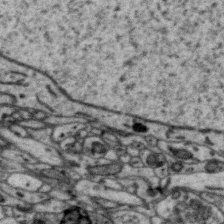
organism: Zebra finch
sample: Brain